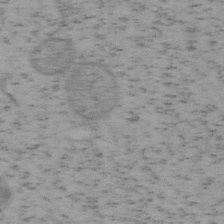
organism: Mouse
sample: OT-I killer T cells with ID8 ovarian cancer cells